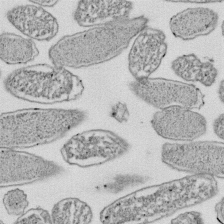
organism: E. coli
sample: Bacterial nucleoid